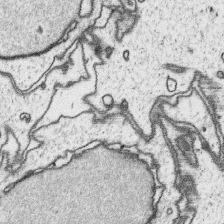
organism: Platynereis dumerilii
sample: Parapodia